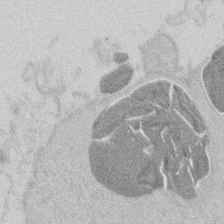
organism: Mouse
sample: T cell stromal cell synapse